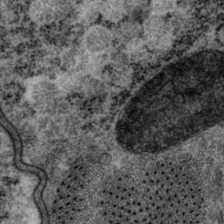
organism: P. pacificus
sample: Pharynx